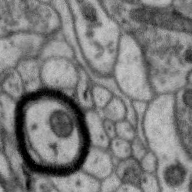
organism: Zebra finch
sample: Brain